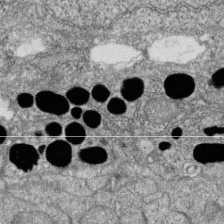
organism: Zebrafish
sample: Cilia; retinal pigment epithelium